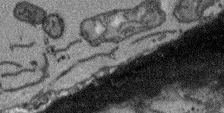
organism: Arabidopsis thaliana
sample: Root tip